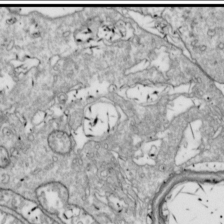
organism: Drosophila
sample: Cell division; meiosis; drosophila spermatocytes